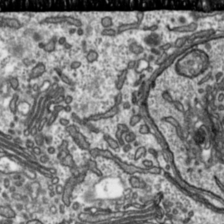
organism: Toxoplasma gondii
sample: Parasites in a vacuole inside a host cell